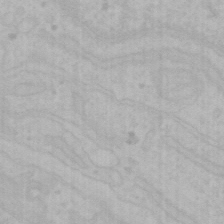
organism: Mouse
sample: Choroid plexus